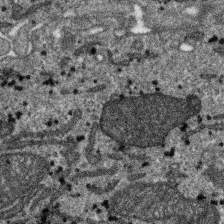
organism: Human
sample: Lung epithelial cells infected with SARS-CoV-2